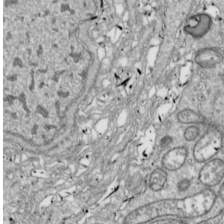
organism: Drosophila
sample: Cell division; meiosis; drosophila spermatocytes